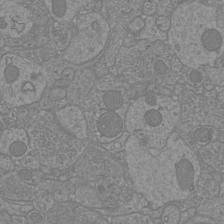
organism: Mouse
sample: Cortical neurons